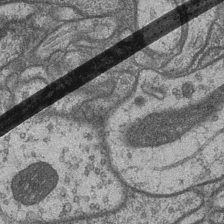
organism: Drosophila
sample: Optic medulla